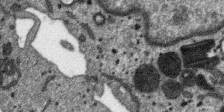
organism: Human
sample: Lung epithelial cells infected with SARS-CoV-2